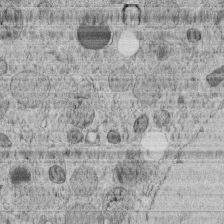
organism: C. elegans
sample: C. elegans embryo early stage